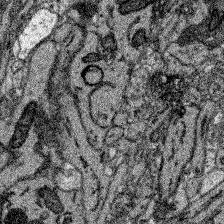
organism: Zebrafish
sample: Larval olfactory bulb